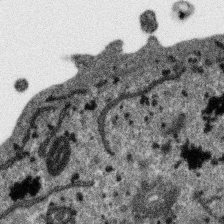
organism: Human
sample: Lung epithelial cells infected with SARS-CoV-2